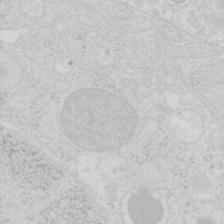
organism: Mouse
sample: Pancreas